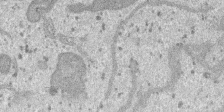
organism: Human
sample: Lung epithelial cells infected with SARS-CoV-2